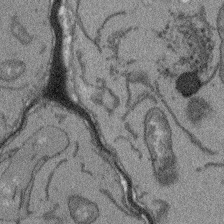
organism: Arabidopsis thaliana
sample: Root tip